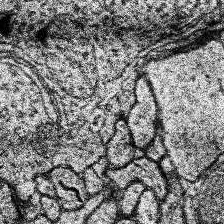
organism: Human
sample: Temporal Lobe